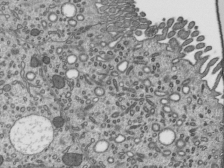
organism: Mouse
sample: Mouse epididymis efferent ductule cilia